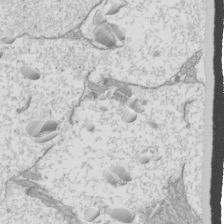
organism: Mouse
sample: Cilia; mouse epididymis